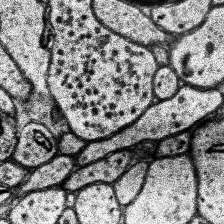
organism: Human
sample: Temporal Lobe